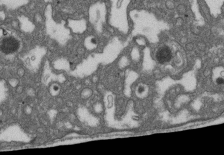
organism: Drosophila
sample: Nephrocyte